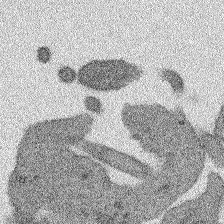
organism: Human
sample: HeLa cells